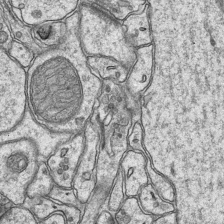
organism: Mouse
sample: CA1 Hippocampus